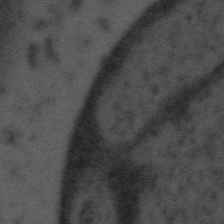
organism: Tuwongella immobilis